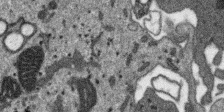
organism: Human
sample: Lung epithelial cells infected with SARS-CoV-2